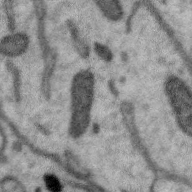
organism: Zebra finch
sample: Brain